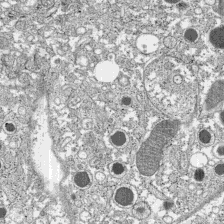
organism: C57BL Mouse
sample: Pancreatic islet